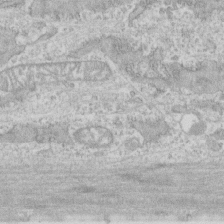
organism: Human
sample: CRL-1474